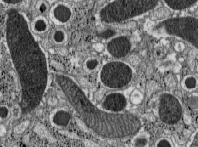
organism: C57BL Mouse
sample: Pancreatic islet